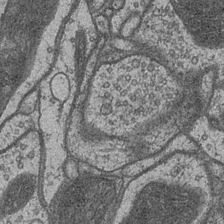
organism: Drosophila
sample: Optic medulla